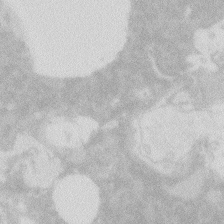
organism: Zebrafish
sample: Macrophage